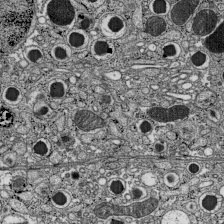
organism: C57BL Mouse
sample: Pancreatic islet